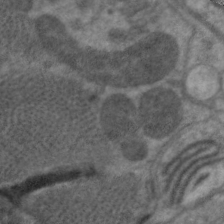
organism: C. elegans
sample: Pharynx